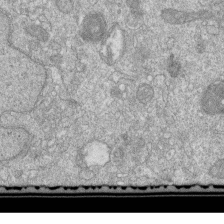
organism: Human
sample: HeLa cell HIV synapse